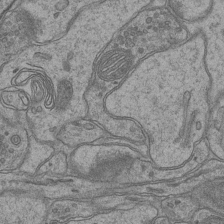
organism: Mouse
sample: CA1 Hippocampus